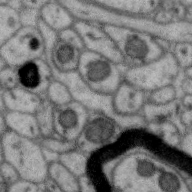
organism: Zebra finch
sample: Brain